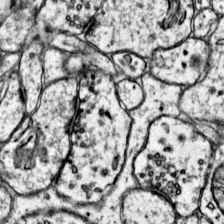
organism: Mouse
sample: Primary visual cortex